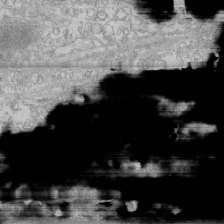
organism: Human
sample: CRL-1474